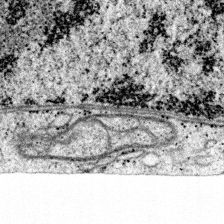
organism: Human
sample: HeLa cells